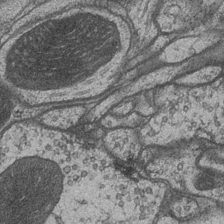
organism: Drosophila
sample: Optic medulla